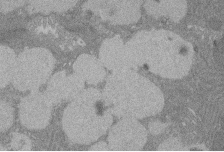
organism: Rat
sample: Salivary granule